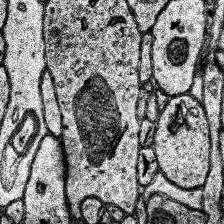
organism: Human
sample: Temporal Lobe